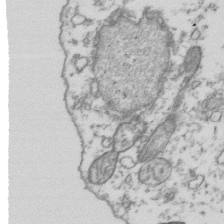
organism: Human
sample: Activated Jurkat CD4+ T cells